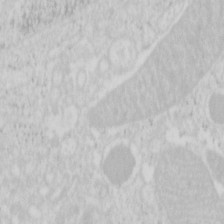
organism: Mouse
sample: Pancreas